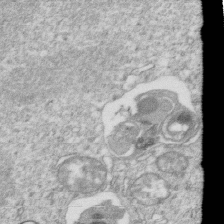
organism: Mouse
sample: Activated OT-1 CD8+ T cells